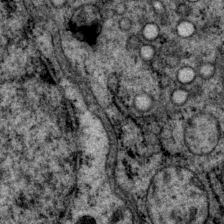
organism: P. pacificus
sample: Pharynx